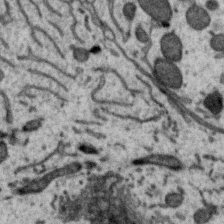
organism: Zebra finch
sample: Brain